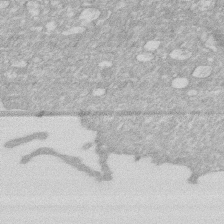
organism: Human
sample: HIV infected U937 cells